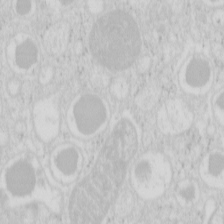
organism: Mouse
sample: Pancreas